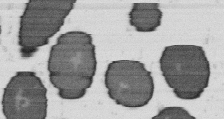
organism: B. subtilis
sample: Bacterial spore